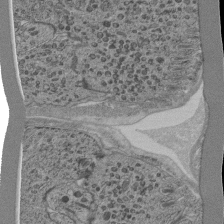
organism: C. elegans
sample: C. elegans pharynx